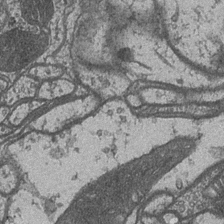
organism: Drosophila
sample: Optic medulla